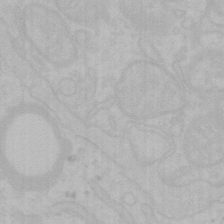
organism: Mouse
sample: Choroid plexus